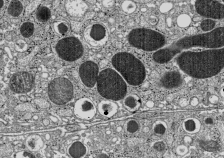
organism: C57BL Mouse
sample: Pancreatic islet